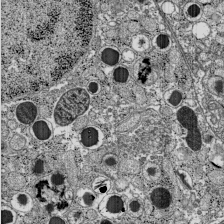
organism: C57BL Mouse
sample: Pancreatic islet